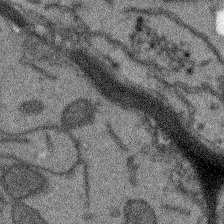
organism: Arabidopsis thaliana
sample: Root tip